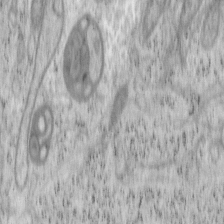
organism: Human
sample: HeLa cells